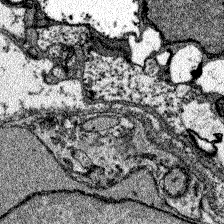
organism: Zebrafish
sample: Larval olfactory bulb